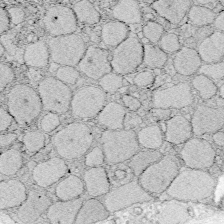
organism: Zebrafish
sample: Whole-Brain